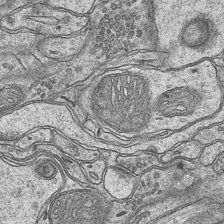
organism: Mouse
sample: CA1 Hippocampus